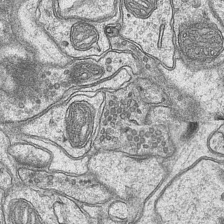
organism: Mouse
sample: CA1 Hippocampus